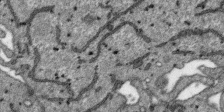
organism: Human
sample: Lung epithelial cells, uninfected (mock) control